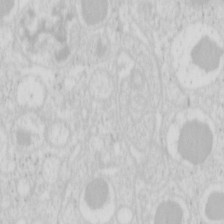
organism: Mouse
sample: Pancreas